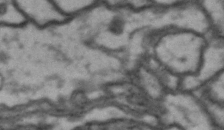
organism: Drosophila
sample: Brain